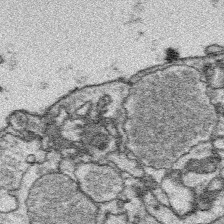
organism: Platynereis dumerilii